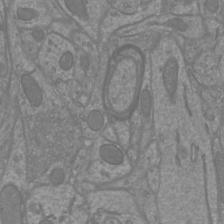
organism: Mouse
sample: Cortical neurons